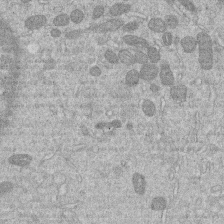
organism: Human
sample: Macrophage cells